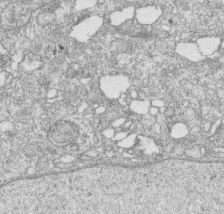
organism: Human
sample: HeLa cell HIV synapse